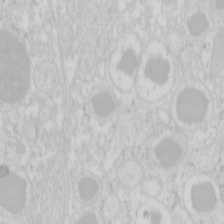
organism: Mouse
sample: Pancreas